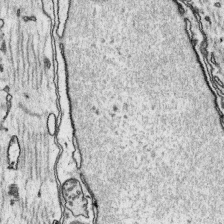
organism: Platynereis dumerilii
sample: Parapodia